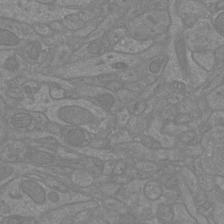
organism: Mouse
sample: Cortical neurons